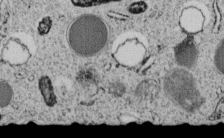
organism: C. elegans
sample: C. elegans embryo early stage